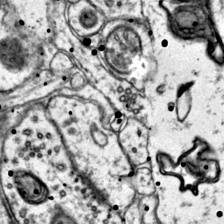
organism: Mouse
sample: Primary visual cortex